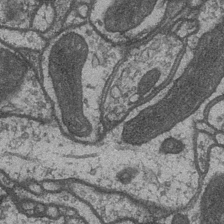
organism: Drosophila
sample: Optic medulla